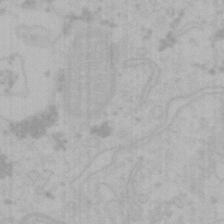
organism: Mouse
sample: Choroid plexus